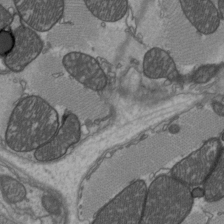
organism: C57BL Mouse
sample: Heart